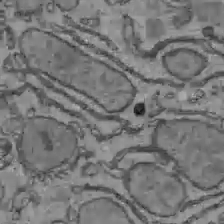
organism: C57BL Mouse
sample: Liver